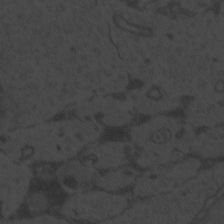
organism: Zebrafish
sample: Macrophage infected with Toxoplasma gondii